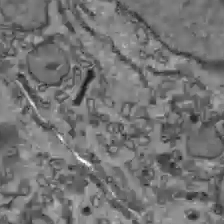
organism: C57BL Mouse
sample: Liver